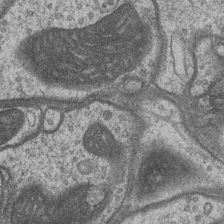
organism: Drosophila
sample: Optic medulla